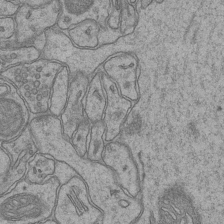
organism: Mouse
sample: CA1 Hippocampus